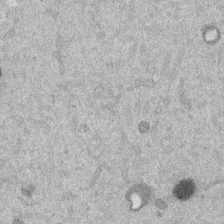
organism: Mouse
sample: Dividing mouse embryo 1 cell stage